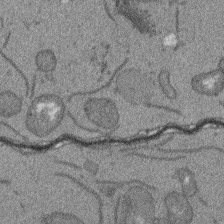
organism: Arabidopsis thaliana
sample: Root tip